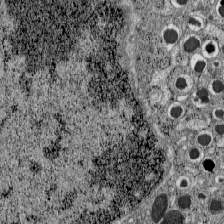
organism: C57BL Mouse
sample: Pancreatic islet